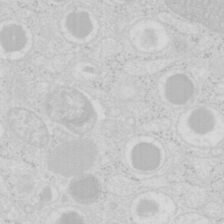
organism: Mouse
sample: Pancreas